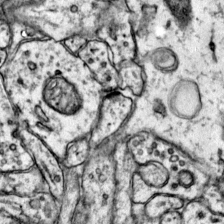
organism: Mouse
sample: Primary visual cortex